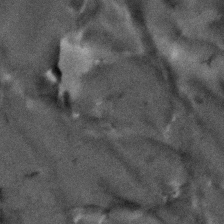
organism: Human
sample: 1205lu cells